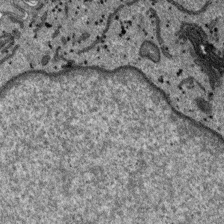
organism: Human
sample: Lung epithelial cells, uninfected (mock) control